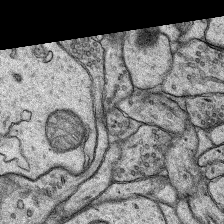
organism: Rat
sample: Hippocampus